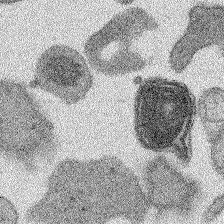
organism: Human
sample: HeLa cells